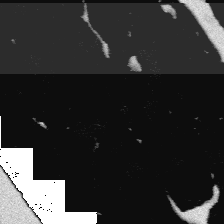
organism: Platynereis dumerilii